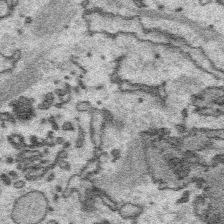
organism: Platynereis dumerilii